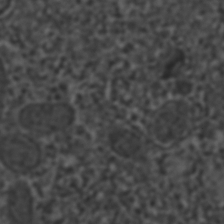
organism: C. elegans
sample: C. elegans embryo